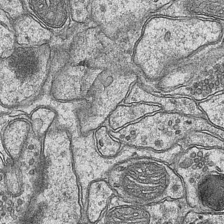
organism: Mouse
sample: CA1 Hippocampus